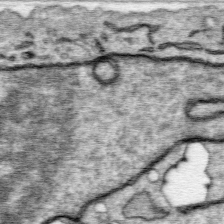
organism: Human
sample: HeLa cells